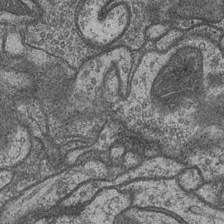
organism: Drosophila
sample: Optic medulla